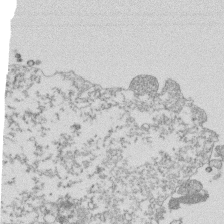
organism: Human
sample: HeLa cell HIV synapse